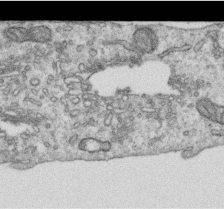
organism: Human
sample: Centriole in RPE cells